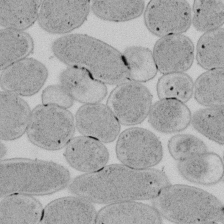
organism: E. coli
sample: Bacterial nucleoid